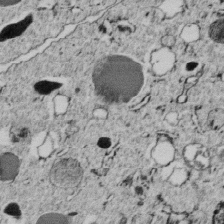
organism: C. elegans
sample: C. elegans embryo early stage